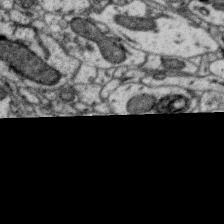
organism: Zebra finch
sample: Brain